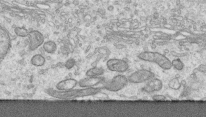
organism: Human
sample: Centriole in RPE cells